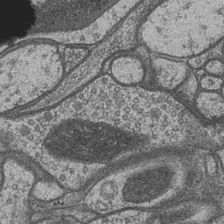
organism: Drosophila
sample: Optic medulla